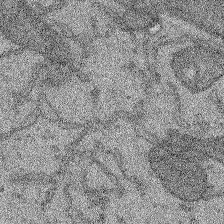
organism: Human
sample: HeLa cells